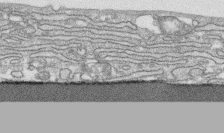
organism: Human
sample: CRL-1474